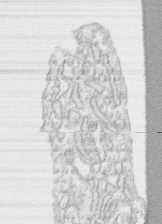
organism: Human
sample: CRL-1474